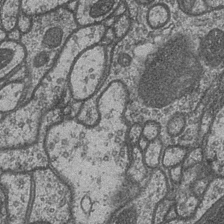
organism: Drosophila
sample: Optic medulla